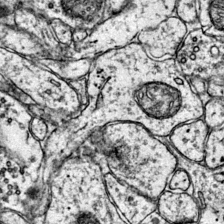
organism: Mouse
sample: Primary visual cortex